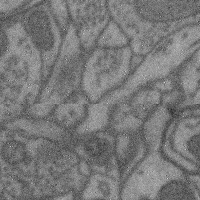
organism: Mouse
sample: Cerebral cortex